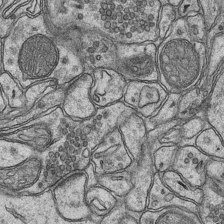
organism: Mouse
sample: CA1 Hippocampus